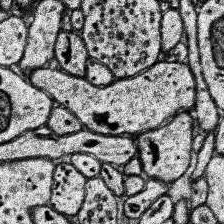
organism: Human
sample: Temporal Lobe